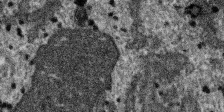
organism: Human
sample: Lung epithelial cells infected with SARS-CoV-2